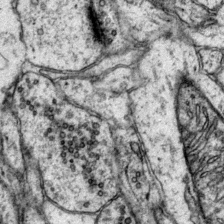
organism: Mouse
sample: Primary visual cortex